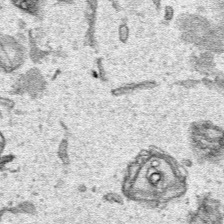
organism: Human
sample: Mitochondria in HCT116 cells